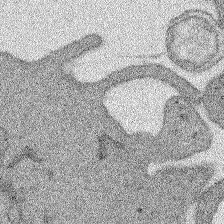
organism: Human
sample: HeLa cells